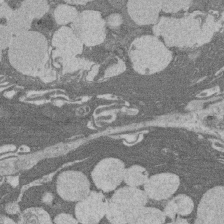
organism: Rat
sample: Salivary granule